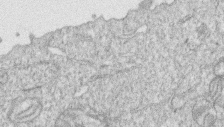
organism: Human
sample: HeLa cell HIV synapse